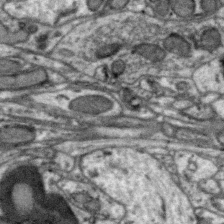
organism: Zebra finch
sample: Brain